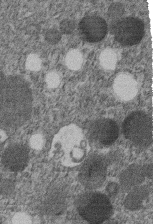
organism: C. elegans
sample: C. elegans embryo early stage